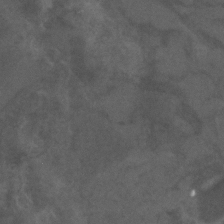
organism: C. elegans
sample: C. elegans embryo